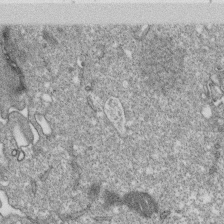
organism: African green monkey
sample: Vero E6 cells infected with SARS-CoV-2